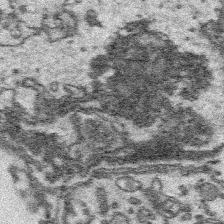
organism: Platynereis dumerilii